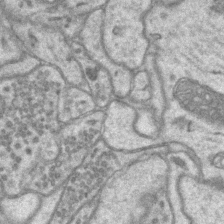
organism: Mouse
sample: CA1 Hippocampus